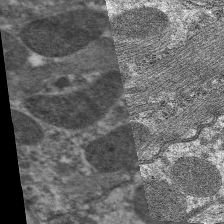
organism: C. elegans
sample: Pharynx